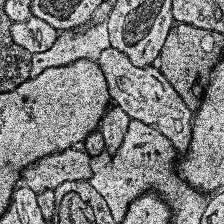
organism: Human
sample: Temporal Lobe